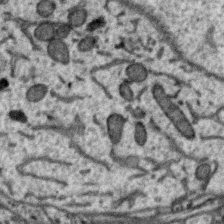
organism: Zebra finch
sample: Brain